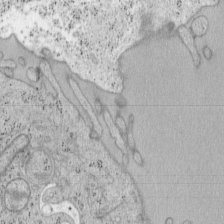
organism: Mouse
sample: OT-I killer T cells with ID8 ovarian cancer cells